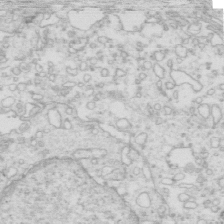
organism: Mouse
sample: Multiciliated cells